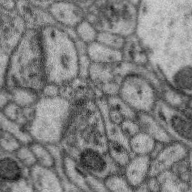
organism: Zebra finch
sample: Brain